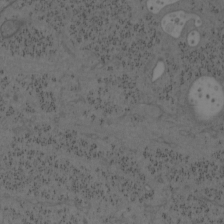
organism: Mouse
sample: OT-I killer T cells with ID8 ovarian cancer cells